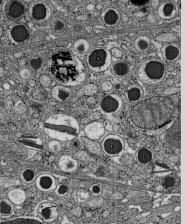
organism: C57BL Mouse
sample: Pancreatic islet